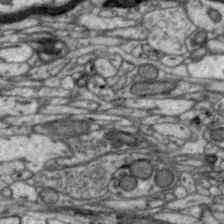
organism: Zebra finch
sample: Brain